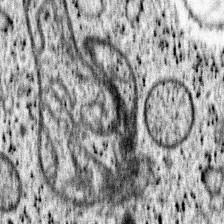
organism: Human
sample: HeLa cells